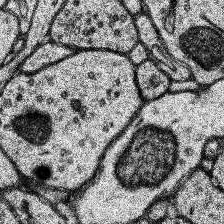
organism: Human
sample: Temporal Lobe